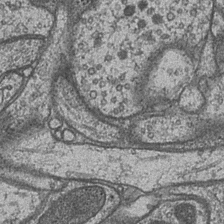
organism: Drosophila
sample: Optic medulla